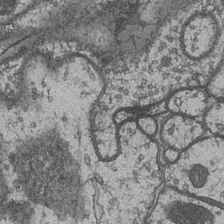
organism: Drosophila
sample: Optic medulla